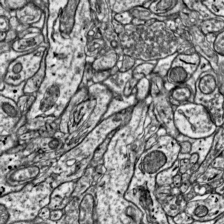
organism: Mouse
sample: Visual Cortex